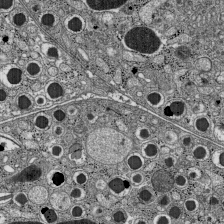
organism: C57BL Mouse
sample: Pancreatic islet